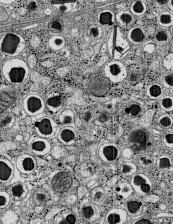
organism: C57BL Mouse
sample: Pancreatic islet